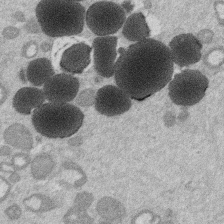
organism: Mouse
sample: Dividing mouse embryo 1 cell stage